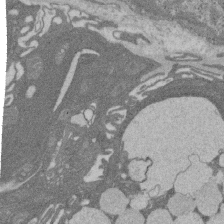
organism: Rat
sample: Salivary granule